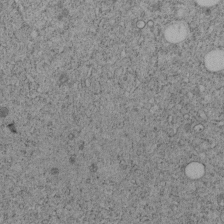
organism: C. elegans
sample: C. elegans embryo early stage